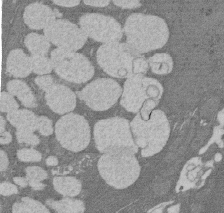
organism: Rat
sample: Salivary granule